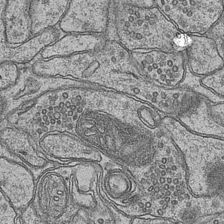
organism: Mouse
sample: CA1 Hippocampus